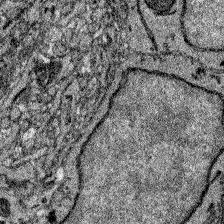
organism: Zebrafish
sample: Larval olfactory bulb